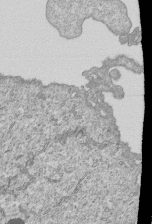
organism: Human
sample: MDA-MB-231 cells